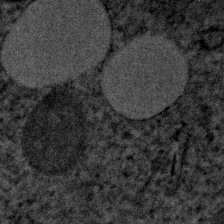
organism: Human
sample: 1205lu cells